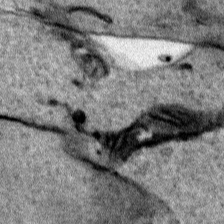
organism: Human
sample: Mitochondria in HCT116 cells